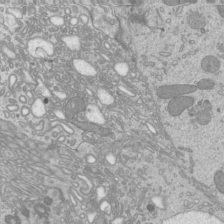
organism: Mouse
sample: Cilia; mouse epididymis